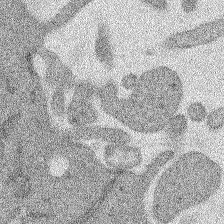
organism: Human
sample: HeLa cells